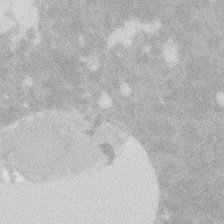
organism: Zebrafish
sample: Macrophage